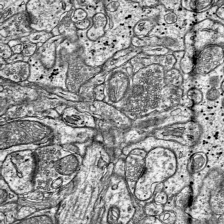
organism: Mouse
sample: Visual Cortex